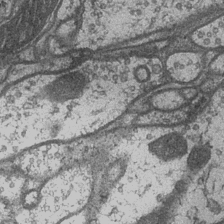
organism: Drosophila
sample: Optic medulla